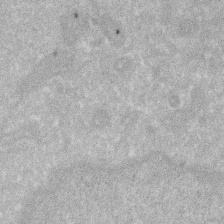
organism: Human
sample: HIV infected U937 cells